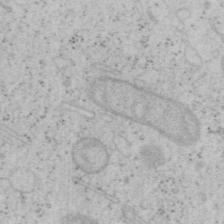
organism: Human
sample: HeLa cells